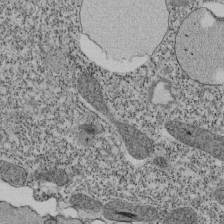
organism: Tetrahymena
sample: Cilia in tetrahymena